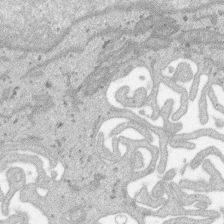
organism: Human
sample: Lung epithelial cells infected with SARS-CoV-2